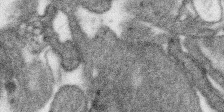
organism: Human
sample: Lung epithelial cells infected with SARS-CoV-2